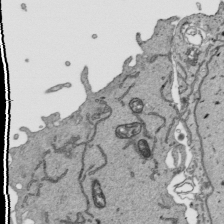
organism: Human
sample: Mitochondria in HCT116 cells